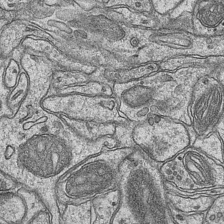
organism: Mouse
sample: CA1 Hippocampus